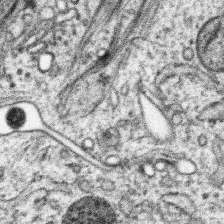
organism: Human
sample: HeLa cells